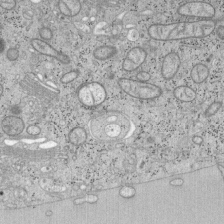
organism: Mouse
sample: OT-I killer T cells with ID8 ovarian cancer cells